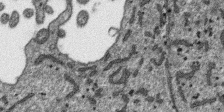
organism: Human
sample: Lung epithelial cells infected with SARS-CoV-2